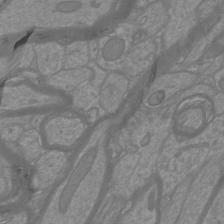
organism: Mouse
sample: Cortical neurons